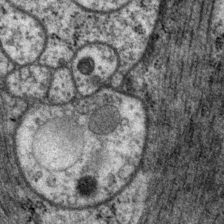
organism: P. pacificus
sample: Pharynx